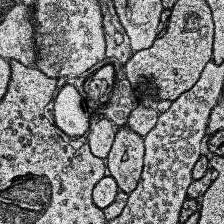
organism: Human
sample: Temporal Lobe